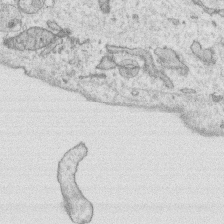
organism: Human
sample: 1205lu cells